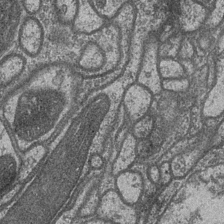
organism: Drosophila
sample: Optic medulla